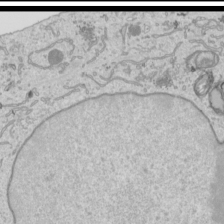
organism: Human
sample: Mitochondria in HCT116 cells